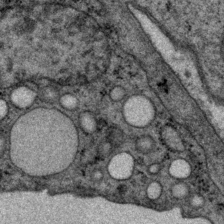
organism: P. pacificus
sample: Pharynx